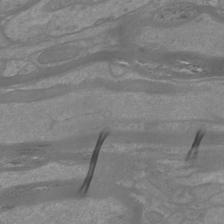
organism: Mouse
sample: Cortical neurons